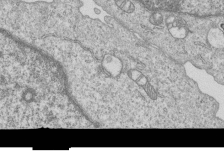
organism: Human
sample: MDA-MB-231 cells